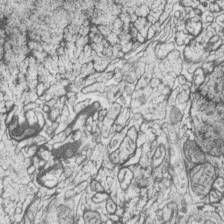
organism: Zebrafish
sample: synaptic ribbons in rod cells and cone cells